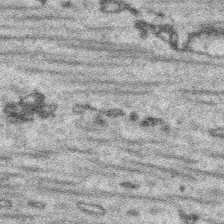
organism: Platynereis dumerilii